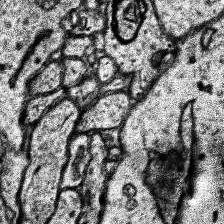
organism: Human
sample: Temporal Lobe